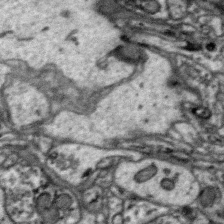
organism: Zebra finch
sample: Brain